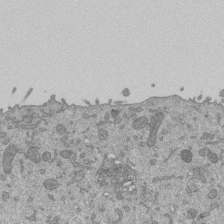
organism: Mouse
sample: ED-1 cell nuclei; centrioles